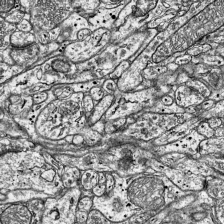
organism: Mouse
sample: Visual Cortex